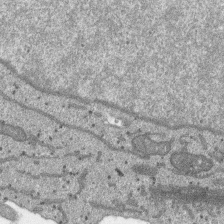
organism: Human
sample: Lung epithelial cells infected with SARS-CoV-2